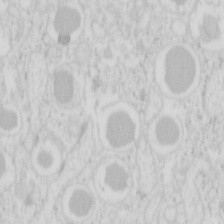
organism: Mouse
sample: Pancreas